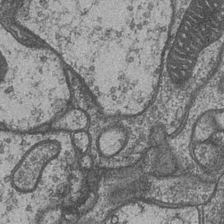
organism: Drosophila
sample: Optic medulla